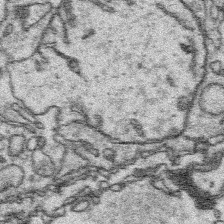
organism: Platynereis dumerilii